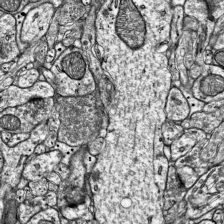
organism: Mouse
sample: Visual Cortex